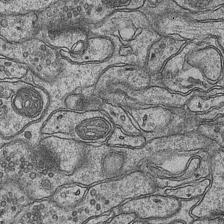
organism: Mouse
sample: CA1 Hippocampus